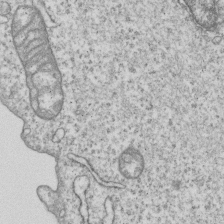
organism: Human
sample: MDA-MB-231 cells